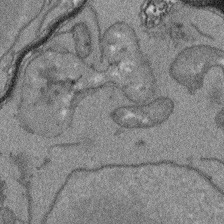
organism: Arabidopsis thaliana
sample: Root tip